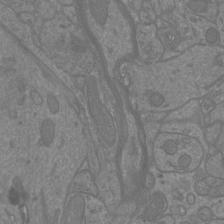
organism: Mouse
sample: Cortical neurons